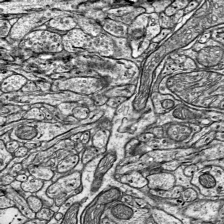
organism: Mouse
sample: Visual Cortex